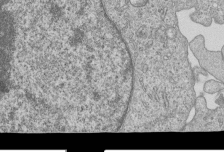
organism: Human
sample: MDA-MB-231 cells